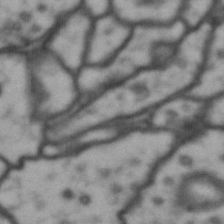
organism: Drosophila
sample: Brain